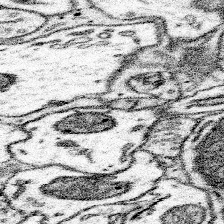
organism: Mouse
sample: Somatosensory cortex neuropil